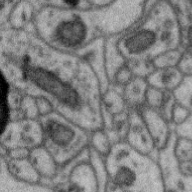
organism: Zebra finch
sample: Brain